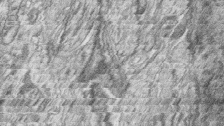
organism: Zebrafish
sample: synaptic ribbons in rod cells and cone cells